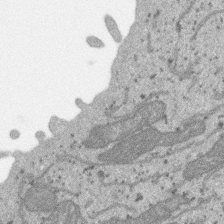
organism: Human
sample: Lung epithelial cells infected with SARS-CoV-2